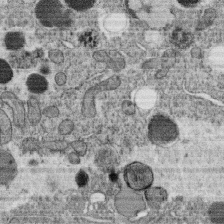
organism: C. elegans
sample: C. elegans oocyte; sperm cells